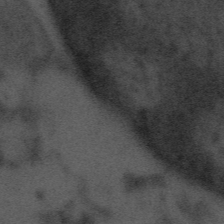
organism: Tuwongella immobilis